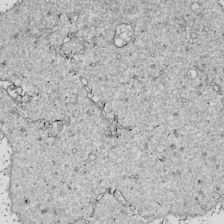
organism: Drosophila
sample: Cell division; meiosis; drosophila spermatocytes